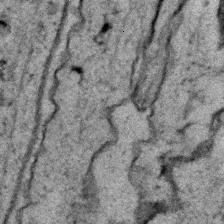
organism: C. elegans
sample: C. elegans embryo